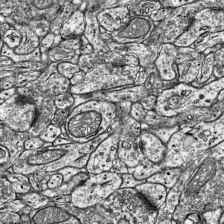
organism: Mouse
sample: Visual Cortex